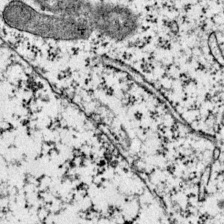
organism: Mouse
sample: Primary visual cortex